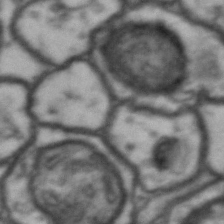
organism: Drosophila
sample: Brain